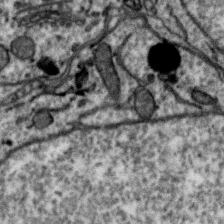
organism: Zebra finch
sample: Brain